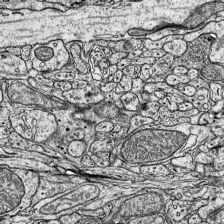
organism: Mouse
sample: Visual Cortex